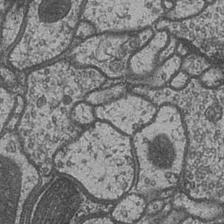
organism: Drosophila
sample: Optic medulla